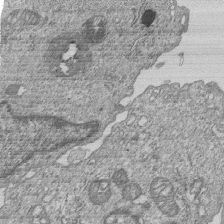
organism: Human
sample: MDA-MB-231 cells